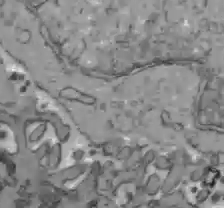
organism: C57BL Mouse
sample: Liver